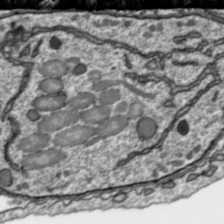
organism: Toxoplasma gondii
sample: Parasites in a vacuole inside a host cell